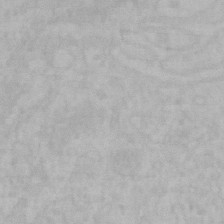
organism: Mouse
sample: Choroid plexus